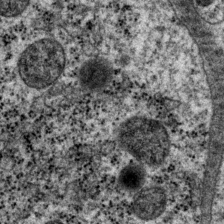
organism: P. pacificus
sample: Pharynx